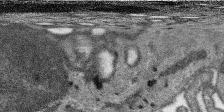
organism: Human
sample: Lung epithelial cells infected with SARS-CoV-2